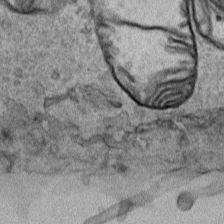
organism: Human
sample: Mitochondria in HCT116 cells